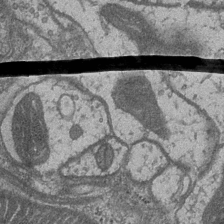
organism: Drosophila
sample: Optic medulla